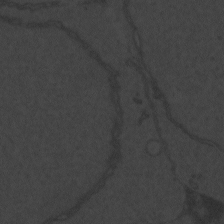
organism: Zebrafish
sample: Macrophage infected with Toxoplasma gondii